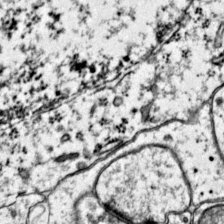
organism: Mouse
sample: Primary visual cortex